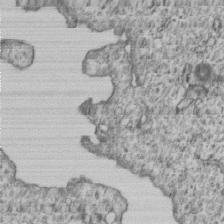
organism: Human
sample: MDA-MB-231 cells